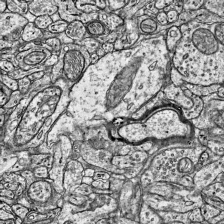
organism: Mouse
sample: Visual Cortex